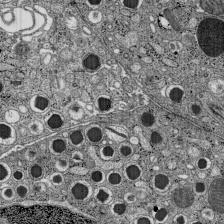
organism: C57BL Mouse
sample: Pancreatic islet